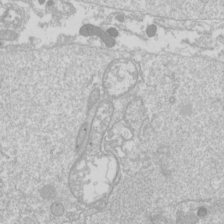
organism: Drosophila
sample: Cell division; meiosis; drosophila spermatocytes